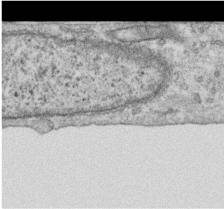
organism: Human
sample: Centriole in RPE cells